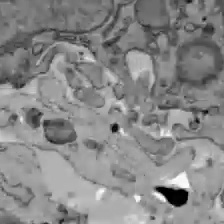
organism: C57BL Mouse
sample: Liver